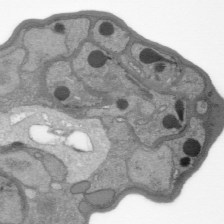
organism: Plasmodium falciparum